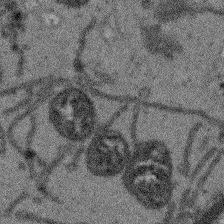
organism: Arabidopsis thaliana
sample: Root tip